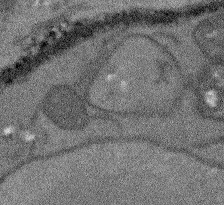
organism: Arabidopsis thaliana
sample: Root tip